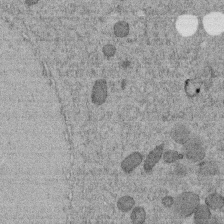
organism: C. elegans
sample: C. elegans embryo early stage